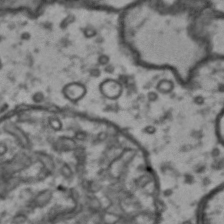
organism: Drosophila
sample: Brain